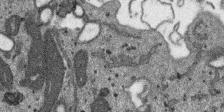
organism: Human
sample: Lung epithelial cells infected with SARS-CoV-2